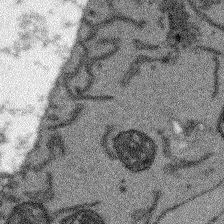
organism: Arabidopsis thaliana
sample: Root tip